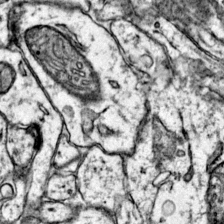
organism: Mouse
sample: Primary visual cortex